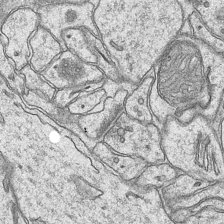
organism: Mouse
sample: CA1 Hippocampus